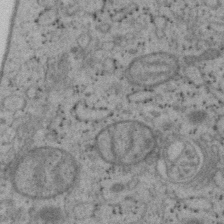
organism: Human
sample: HeLa cells